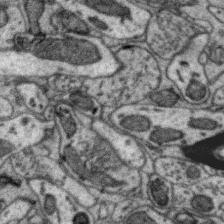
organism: Zebra finch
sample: Brain